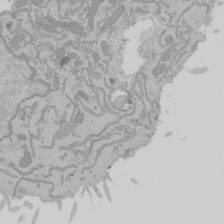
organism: Mouse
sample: Cancer cell death in ED-1 cells